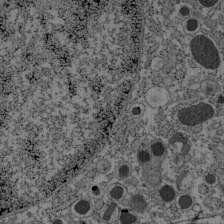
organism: C57BL Mouse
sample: Pancreatic islet